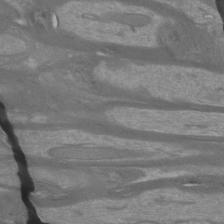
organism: Mouse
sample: Cortical neurons